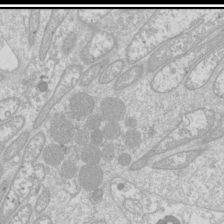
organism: Drosophila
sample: Cell division; meiosis; drosophila spermatocytes